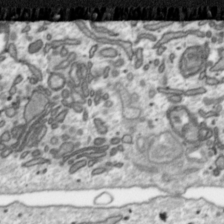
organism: Toxoplasma gondii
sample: Parasites in a vacuole inside a host cell